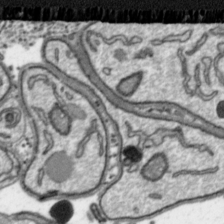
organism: Toxoplasma gondii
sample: Parasites in a vacuole inside a host cell